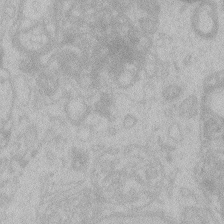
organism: Zebrafish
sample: Macrophage infected with Toxoplasma gondii